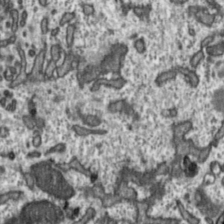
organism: Toxoplasma gondii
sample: Parasites in a vacuole inside a host cell